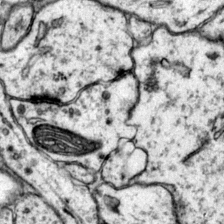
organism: Mouse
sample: Primary visual cortex